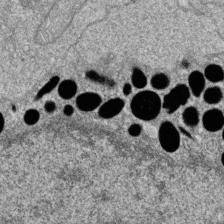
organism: Zebrafish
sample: Cilia; retinal pigment epithelium